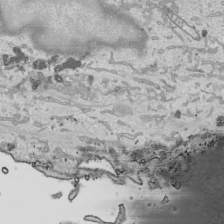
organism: Human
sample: Mitochondria in HCT116 cells